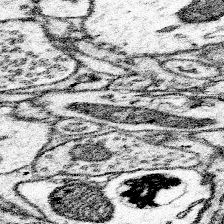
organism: Mouse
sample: Somatosensory cortex neuropil